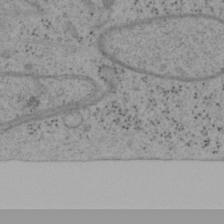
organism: Human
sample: HeLa cells